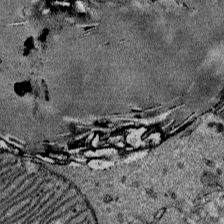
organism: Mouse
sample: Mouse Salivary gland